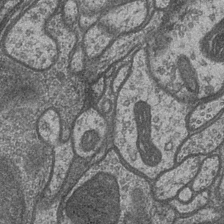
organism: Drosophila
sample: Optic medulla